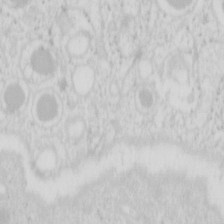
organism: Mouse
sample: Pancreas